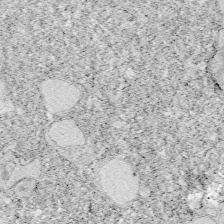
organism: Zebrafish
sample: Whole-Brain